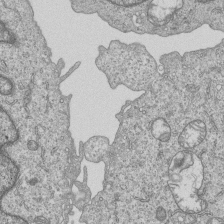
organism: Human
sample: MDA-MB-231 cells